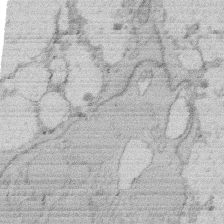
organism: Rat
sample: Salivary granule